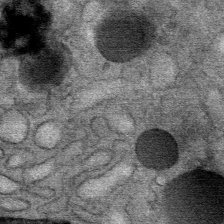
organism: Mouse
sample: Mouse Salivary gland